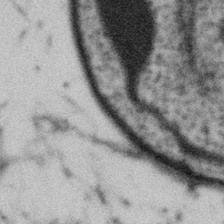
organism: Gemmata obscuriglobus